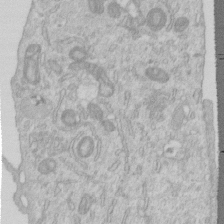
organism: Human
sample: Centriole in RPE cells